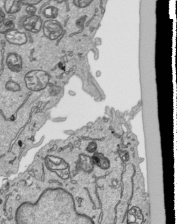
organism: Human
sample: Mitochondria in HCT116 cells